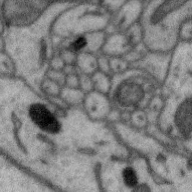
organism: Zebra finch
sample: Brain